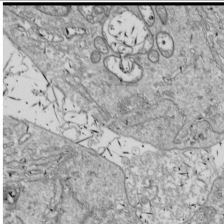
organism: Drosophila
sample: Cell division; meiosis; drosophila spermatocytes